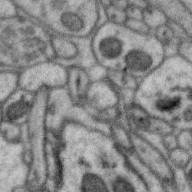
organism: Zebra finch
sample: Brain